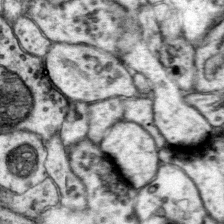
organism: Mouse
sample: Primary visual cortex